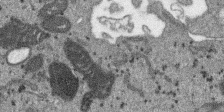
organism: Human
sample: Lung epithelial cells infected with SARS-CoV-2